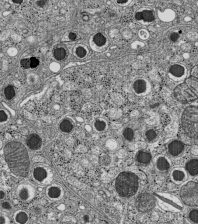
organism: C57BL Mouse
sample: Pancreatic islet